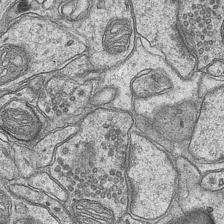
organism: Mouse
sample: CA1 Hippocampus